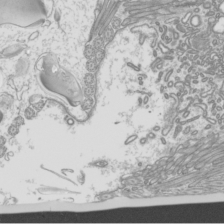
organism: Mouse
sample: Cilia; mouse epididymis